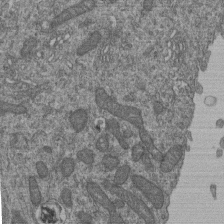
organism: Human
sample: Retinal organoid Rod and Cone cells